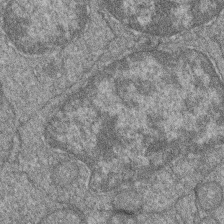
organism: Zebrafish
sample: Cilia; retinal pigment epithelium